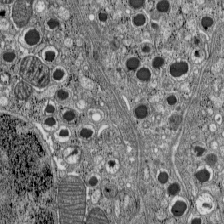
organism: C57BL Mouse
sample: Pancreatic islet